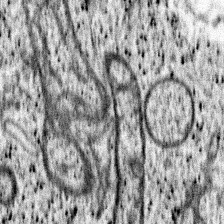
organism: Human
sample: HeLa cells